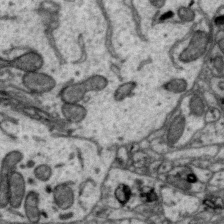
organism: Zebra finch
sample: Brain